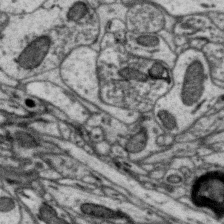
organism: Zebra finch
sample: Brain